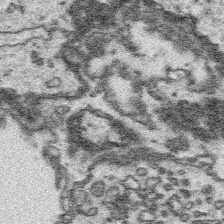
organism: Platynereis dumerilii